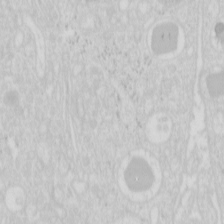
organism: Mouse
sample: Pancreas